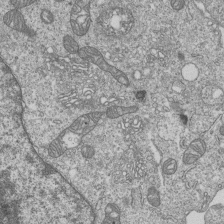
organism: Human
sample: MDA-MB-231 cells